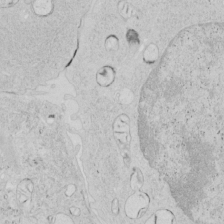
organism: Human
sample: Mitochondria in HCT116 cells